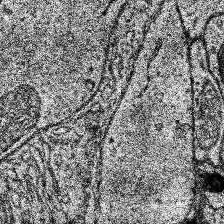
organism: Human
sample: Temporal Lobe